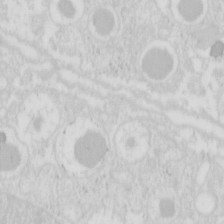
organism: Mouse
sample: Pancreas